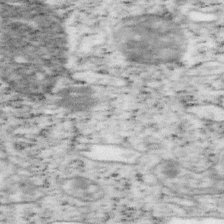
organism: Mouse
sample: OT-I killer T cells with ID8 ovarian cancer cells